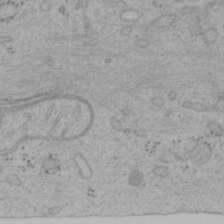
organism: Human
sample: HeLa cells